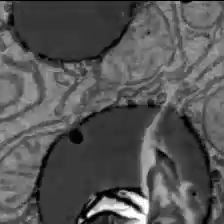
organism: C57BL Mouse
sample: Liver